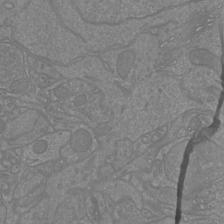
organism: Mouse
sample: Cortical neurons